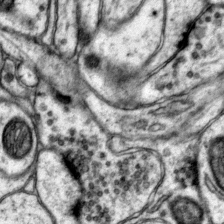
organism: Mouse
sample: Primary visual cortex